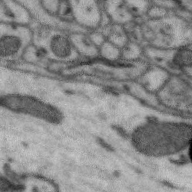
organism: Zebra finch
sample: Brain